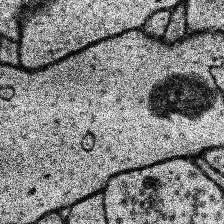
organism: Human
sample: Temporal Lobe